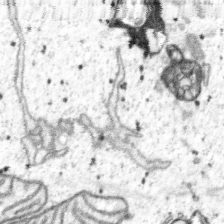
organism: Human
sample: HeLa cells